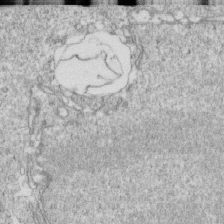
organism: Mouse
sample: Activated OT-1 CD8+ T cells